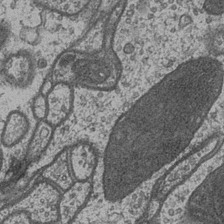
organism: Drosophila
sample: Optic medulla